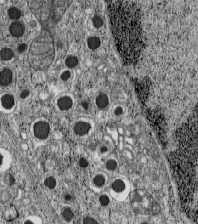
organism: C57BL Mouse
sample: Pancreatic islet